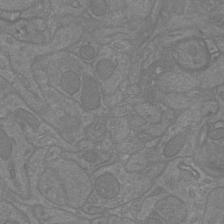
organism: Mouse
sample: Cortical neurons